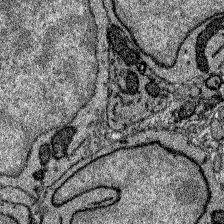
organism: Zebrafish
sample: Larval olfactory bulb